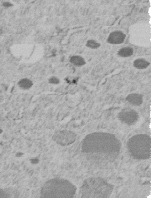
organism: C. elegans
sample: C. elegans embryo early stage